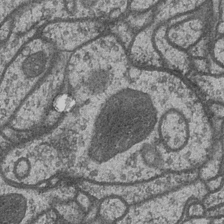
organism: Drosophila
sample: Optic medulla